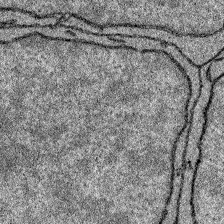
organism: Zebrafish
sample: Larval olfactory bulb